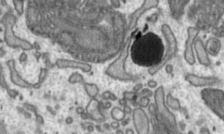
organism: Toxoplasma gondii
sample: Parasites in a vacuole inside a host cell